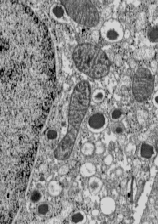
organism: C57BL Mouse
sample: Pancreatic islet